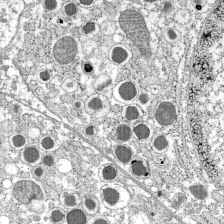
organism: C57BL Mouse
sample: Pancreatic islet